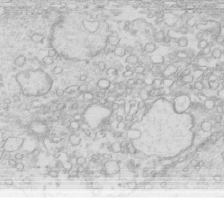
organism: Mouse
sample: Multiciliated cells